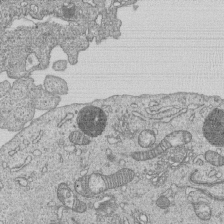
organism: Human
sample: MDA-MB-231 cells